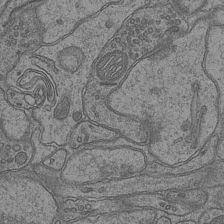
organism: Mouse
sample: CA1 Hippocampus